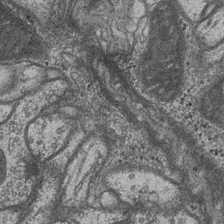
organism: Drosophila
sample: Optic medulla